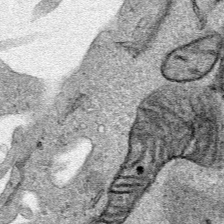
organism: Human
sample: Mitochondria in HCT116 cells